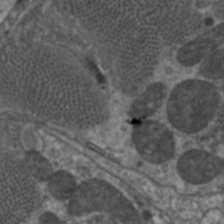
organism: C. elegans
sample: Pharynx